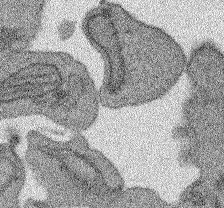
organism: Human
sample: HeLa cells